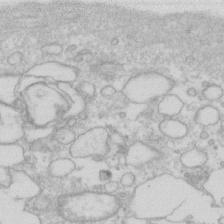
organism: Human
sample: Fibroblast cells